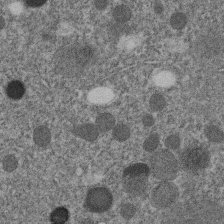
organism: C. elegans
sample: C. elegans embryo early stage